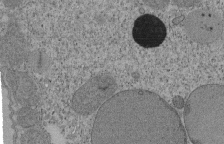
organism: Tetrahymena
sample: Cilia in tetrahymena